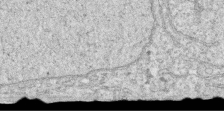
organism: Human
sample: HeLa cell HIV synapse